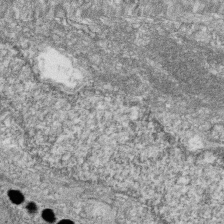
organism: Zebrafish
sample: Cilia; retinal pigment epithelium